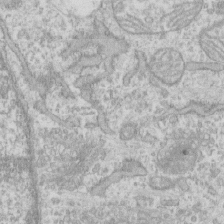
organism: Human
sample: CRL-1474